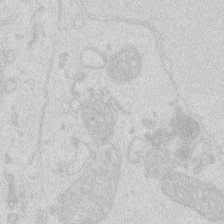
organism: Zebrafish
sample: Macrophage